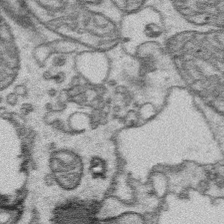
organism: Platynereis dumerilii